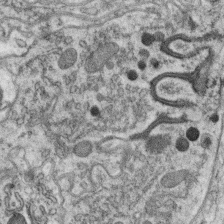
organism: C. elegans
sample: C. elegans oocyte; sperm cells